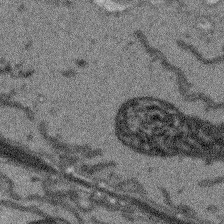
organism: Arabidopsis thaliana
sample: Root tip